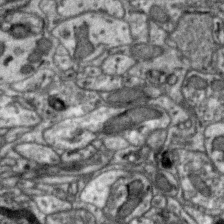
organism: Zebra finch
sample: Brain